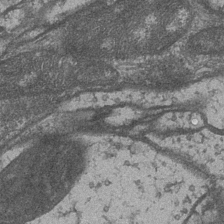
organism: Drosophila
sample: Optic medulla